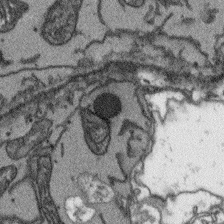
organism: Arabidopsis thaliana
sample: Root tip